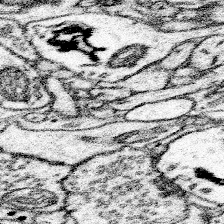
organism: Mouse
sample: Somatosensory cortex neuropil